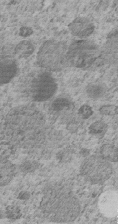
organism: C. elegans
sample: C. elegans embryo early stage